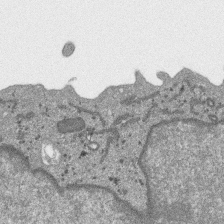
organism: Human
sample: Lung epithelial cells infected with SARS-CoV-2